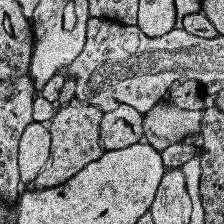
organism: Human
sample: Temporal Lobe